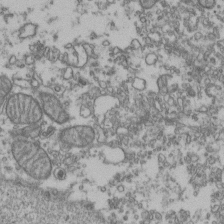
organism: Human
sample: Activated Jurkat CD4+ T cells